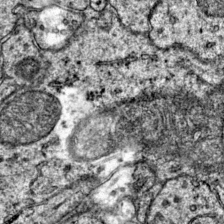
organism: Mouse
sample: Primary visual cortex